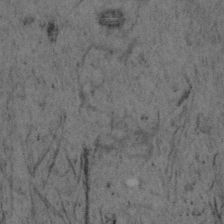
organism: Human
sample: HeLa cells